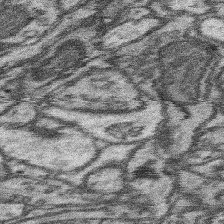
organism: Mouse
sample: Somatosensory cortex neuropil